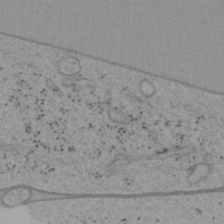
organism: Human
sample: HeLa cells